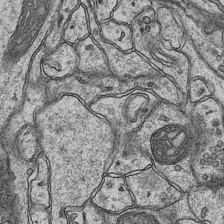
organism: Mouse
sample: CA1 Hippocampus